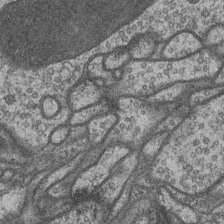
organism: Drosophila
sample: Optic medulla